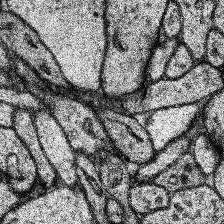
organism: Human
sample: Temporal Lobe